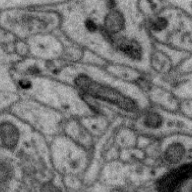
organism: Zebra finch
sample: Brain